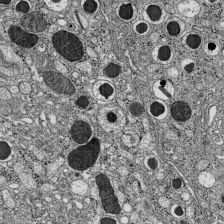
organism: C57BL Mouse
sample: Pancreatic islet